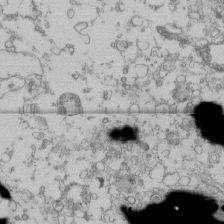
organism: Human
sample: Fibroblast cells